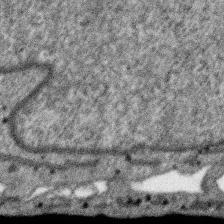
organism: Human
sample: Lung epithelial cells infected with SARS-CoV-2